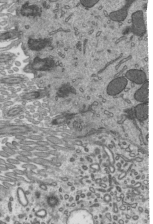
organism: Mouse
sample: Mouse epididymis efferent ductule cilia